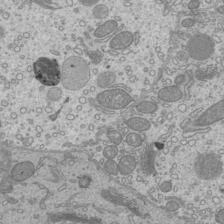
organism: Mouse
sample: Cilia; mouse epididymis